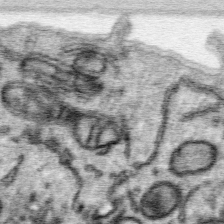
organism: Human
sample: HeLa cells